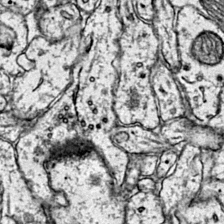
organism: Mouse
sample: Primary visual cortex